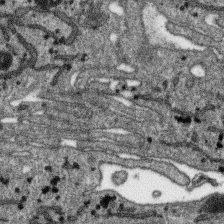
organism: Human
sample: Lung epithelial cells infected with SARS-CoV-2